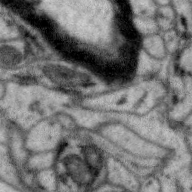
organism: Zebra finch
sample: Brain